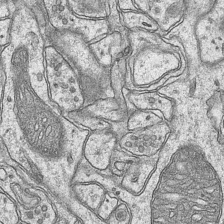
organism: Mouse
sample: CA1 Hippocampus